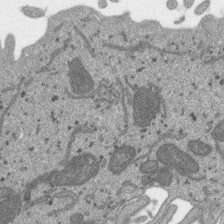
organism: Human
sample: Lung epithelial cells infected with SARS-CoV-2